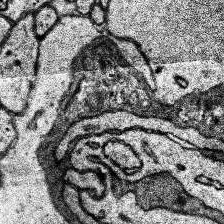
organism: Human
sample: Temporal Lobe